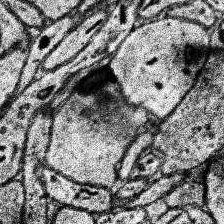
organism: Human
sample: Temporal Lobe